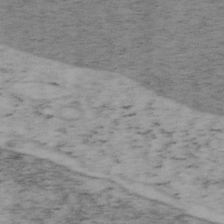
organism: Mouse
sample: OT-I killer T cells with ID8 ovarian cancer cells